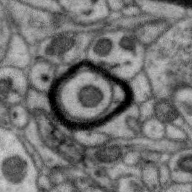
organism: Zebra finch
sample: Brain